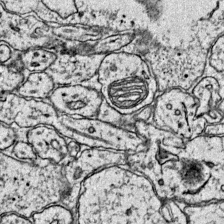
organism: Mouse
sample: Primary visual cortex